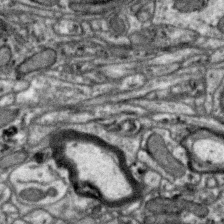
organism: Zebra finch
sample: Brain